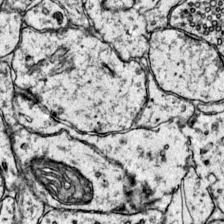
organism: Mouse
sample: Primary visual cortex